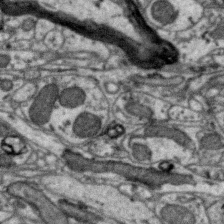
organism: Zebra finch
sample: Brain